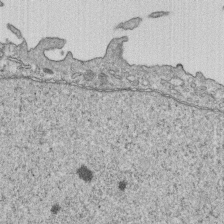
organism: Human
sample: HeLa cell HIV synapse